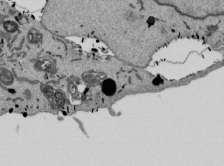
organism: Mouse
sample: ED-1 cell nuclei; centrioles